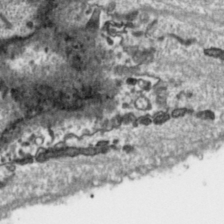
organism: Toxoplasma gondii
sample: Parasites in a vacuole inside a host cell